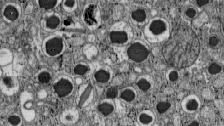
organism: C57BL Mouse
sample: Pancreatic islet